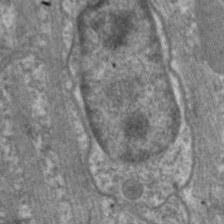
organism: C. elegans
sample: Pharynx